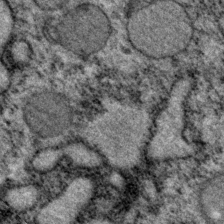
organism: P. pacificus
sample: Pharynx